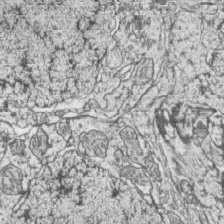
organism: Zebrafish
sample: synaptic ribbons in rod cells and cone cells